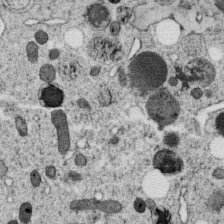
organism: C. elegans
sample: C. elegans oocyte; sperm cells